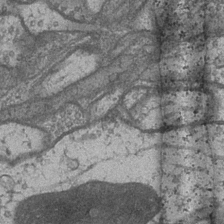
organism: Drosophila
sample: Optic medulla